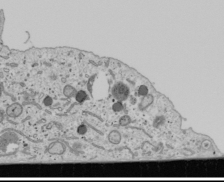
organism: Human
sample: Mitochondria in U2OS cells